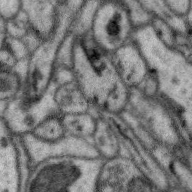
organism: Zebra finch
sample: Brain